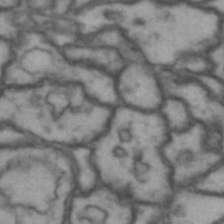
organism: Drosophila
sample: Brain